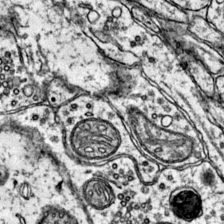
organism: Mouse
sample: Primary visual cortex